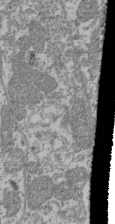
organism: Mouse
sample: Glomerulus